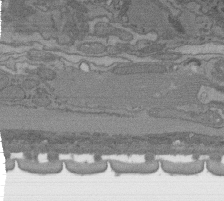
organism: C. elegans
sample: AFD neurons C. elegans